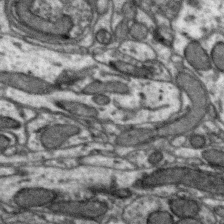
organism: Zebra finch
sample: Brain